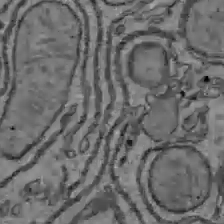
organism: C57BL Mouse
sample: Liver